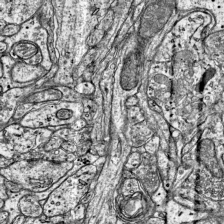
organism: Mouse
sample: Visual Cortex